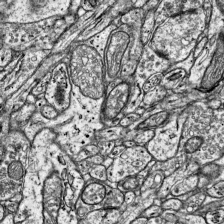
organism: Mouse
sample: Visual Cortex